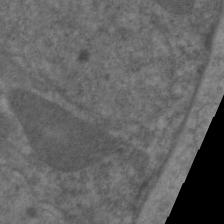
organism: C. elegans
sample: Pharynx